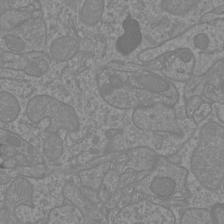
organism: Mouse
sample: Cortical neurons